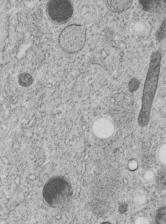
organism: C. elegans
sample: C. elegans embryo early stage